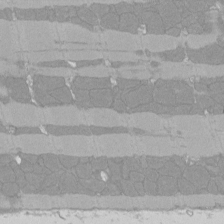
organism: Rat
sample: Left ventricle